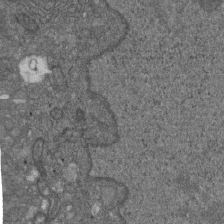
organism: Drosophila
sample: Nephrocyte